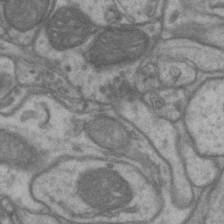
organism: Mouse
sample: CA1 Hippocampus